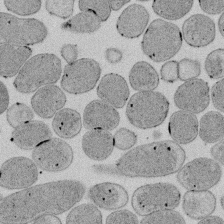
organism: E. coli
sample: Bacterial nucleoid